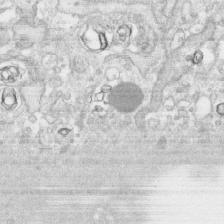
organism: Human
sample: CRL-1474